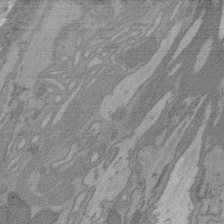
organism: C. elegans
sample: AFD neurons C. elegans